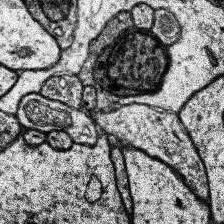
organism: Human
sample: Temporal Lobe